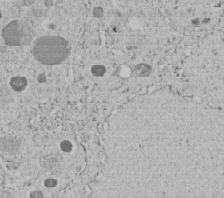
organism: C. elegans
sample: C. elegans embryo early stage